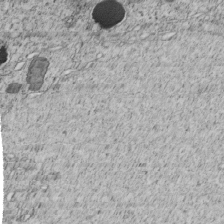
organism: C. elegans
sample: C. elegans embryo early stage